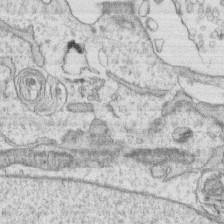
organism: Human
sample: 1205lu cells